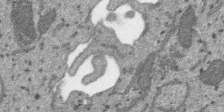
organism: Human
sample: Lung epithelial cells infected with SARS-CoV-2